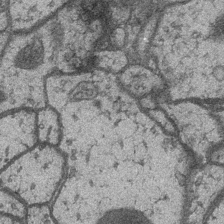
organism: Drosophila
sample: Optic medulla